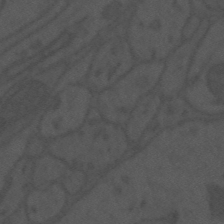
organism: Mouse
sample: Suprachiasmatic nucleus